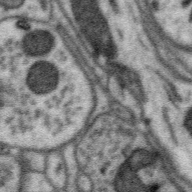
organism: Zebra finch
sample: Brain